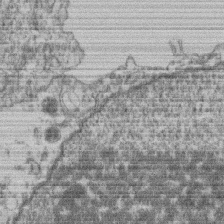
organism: Mouse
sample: T cell stromal cell synapse